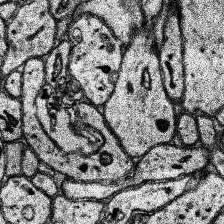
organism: Human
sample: Temporal Lobe